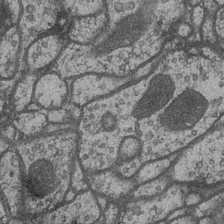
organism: Drosophila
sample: Optic medulla